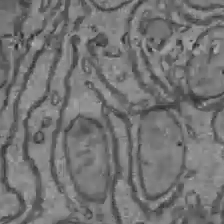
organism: C57BL Mouse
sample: Liver